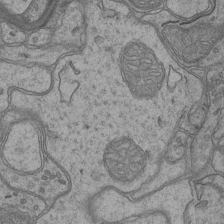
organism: Mouse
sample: CA1 Hippocampus